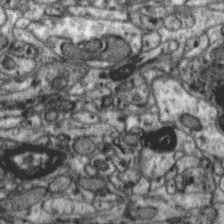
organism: Zebra finch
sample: Brain